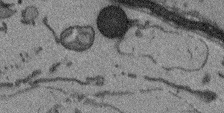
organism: Arabidopsis thaliana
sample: Root tip